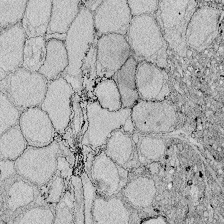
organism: Zebrafish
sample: Whole-Brain